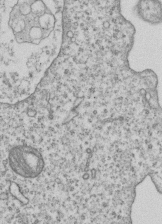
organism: Human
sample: MDA-MB-231 cells